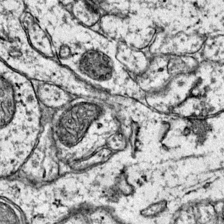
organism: Mouse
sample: Primary visual cortex